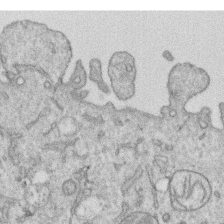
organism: Human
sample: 1205lu cells